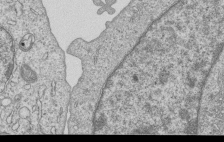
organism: Human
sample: MDA-MB-231 cells